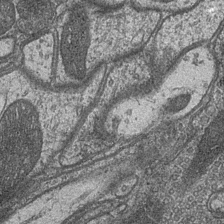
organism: Drosophila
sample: Optic medulla